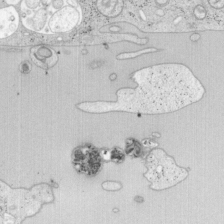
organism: Mouse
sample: OT-I killer T cells with ID8 ovarian cancer cells